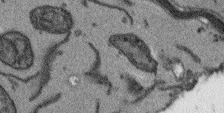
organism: Arabidopsis thaliana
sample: Root tip